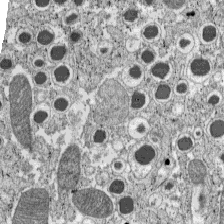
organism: C57BL Mouse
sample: Pancreatic islet